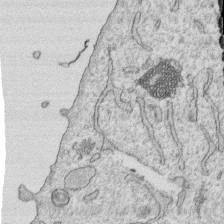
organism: Human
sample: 1205lu cells